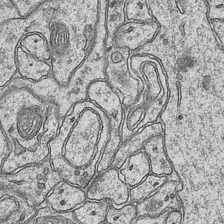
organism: Mouse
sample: CA1 Hippocampus